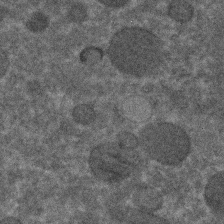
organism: C. elegans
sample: C. elegans embryo